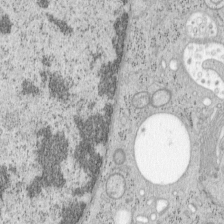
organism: Mouse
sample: OT-I killer T cells with ID8 ovarian cancer cells